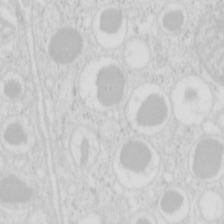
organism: Mouse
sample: Pancreas